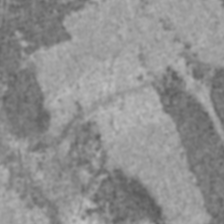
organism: C57BL Mouse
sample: Heart